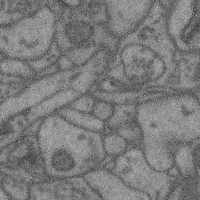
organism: Mouse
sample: Cerebral cortex